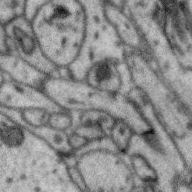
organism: Zebra finch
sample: Brain